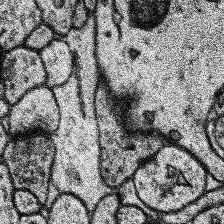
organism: Human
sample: Temporal Lobe